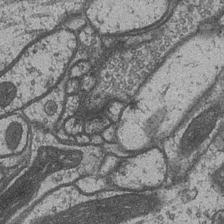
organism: Drosophila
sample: Optic medulla